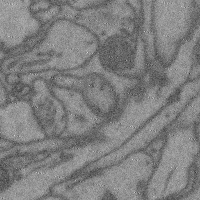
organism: Mouse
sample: Cerebral cortex